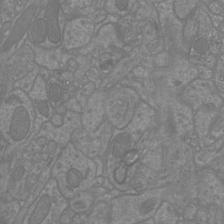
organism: Mouse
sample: Cortical neurons